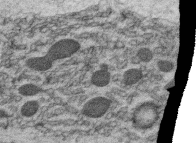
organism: C. elegans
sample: C. elegans oocyte; sperm cells